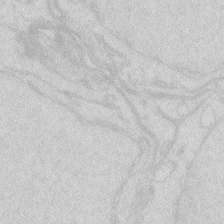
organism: Zebrafish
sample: Macrophage